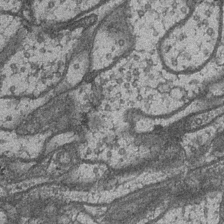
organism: Drosophila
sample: Optic medulla